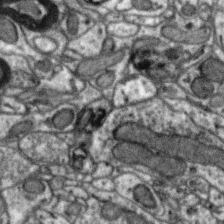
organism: Zebra finch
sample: Brain